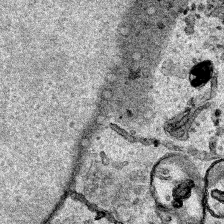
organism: Human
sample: Mitochondria in HCT116 cells